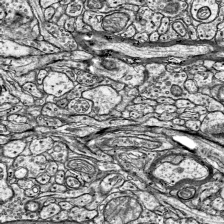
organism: Mouse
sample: Visual Cortex